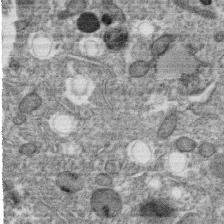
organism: C. elegans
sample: C. elegans oocyte; sperm cells